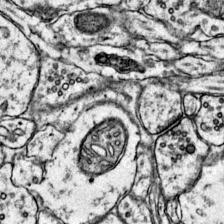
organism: Mouse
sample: Primary visual cortex